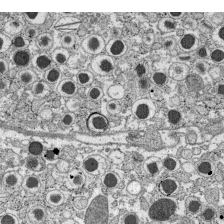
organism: C57BL Mouse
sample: Pancreatic islet